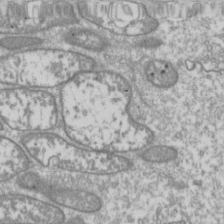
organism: Drosophila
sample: Cell division; meiosis; drosophila spermatocytes